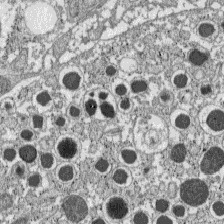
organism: C57BL Mouse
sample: Pancreatic islet